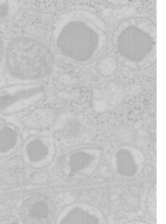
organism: Mouse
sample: Pancreas